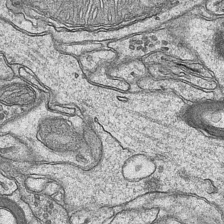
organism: Mouse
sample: CA1 Hippocampus